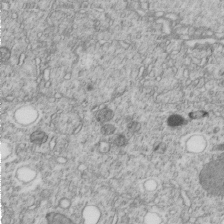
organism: C. elegans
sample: C. elegans embryo early stage